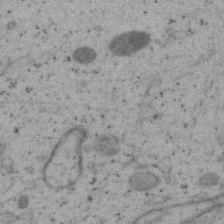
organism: Human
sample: HeLa cells